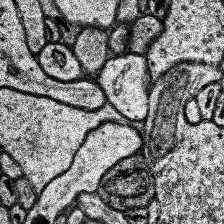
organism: Human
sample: Temporal Lobe